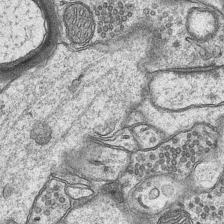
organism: Mouse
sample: CA1 Hippocampus